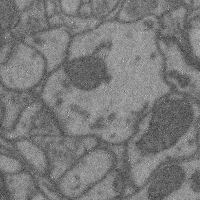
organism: Mouse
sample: Cerebral cortex